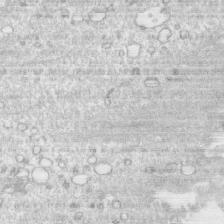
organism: Human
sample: CRL-1474